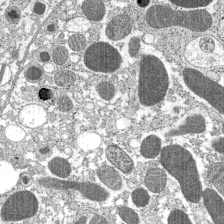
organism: C57BL Mouse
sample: Pancreatic islet